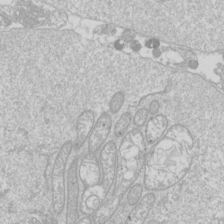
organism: Drosophila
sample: Cell division; meiosis; drosophila spermatocytes